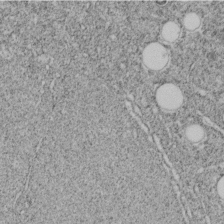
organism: C. elegans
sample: C. elegans embryo early stage